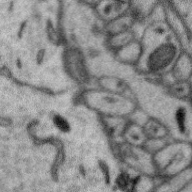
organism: Zebra finch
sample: Brain